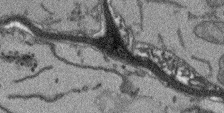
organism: Arabidopsis thaliana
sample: Root tip